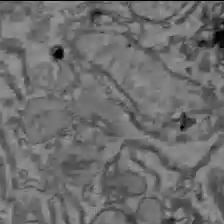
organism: C57BL Mouse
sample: Liver